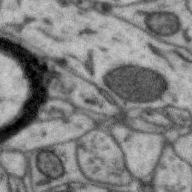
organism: Zebra finch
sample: Brain